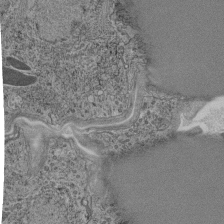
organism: C. elegans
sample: C. elegans pharynx